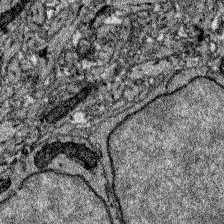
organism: Zebrafish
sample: Larval olfactory bulb